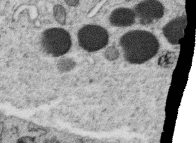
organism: C. elegans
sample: C. elegans oocyte; sperm cells